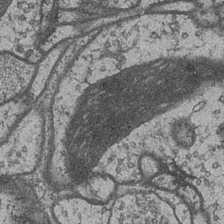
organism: Drosophila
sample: Optic medulla